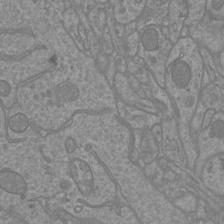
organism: Mouse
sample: Cortical neurons